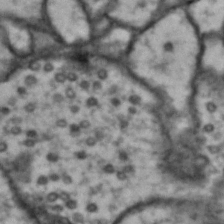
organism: Drosophila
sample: Brain